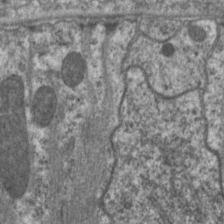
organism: C. elegans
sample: Pharynx